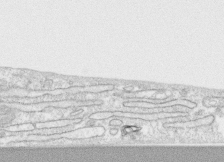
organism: Human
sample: CRL-1474